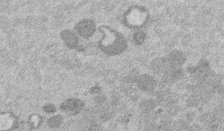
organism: Mouse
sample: Dividing mouse embryo 1 cell stage